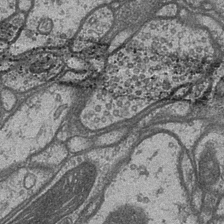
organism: Drosophila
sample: Optic medulla